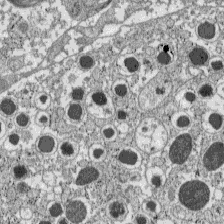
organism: C57BL Mouse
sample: Pancreatic islet